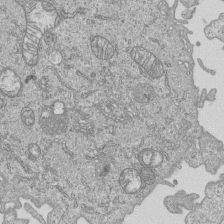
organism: Human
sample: MDA-MB-231 cells